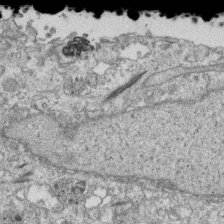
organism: Human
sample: HeLa cell HIV synapse